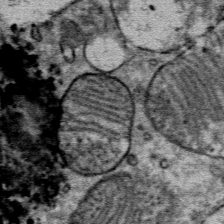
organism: Mouse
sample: Mouse Salivary gland